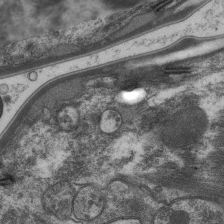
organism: C. elegans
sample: Pharynx